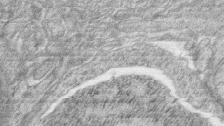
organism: Zebrafish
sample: synaptic ribbons in rod cells and cone cells